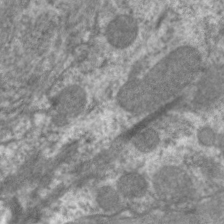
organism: C. elegans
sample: Pharynx